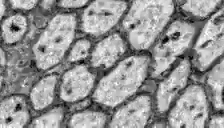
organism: Zebrafish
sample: Brain